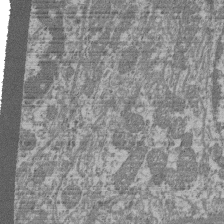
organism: Mouse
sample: Glomerulus